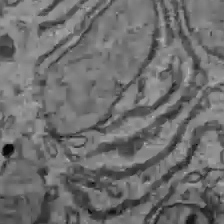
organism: C57BL Mouse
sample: Liver